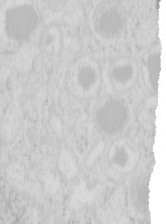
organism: Mouse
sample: Pancreas